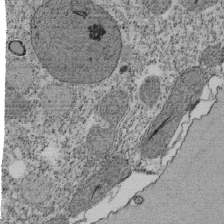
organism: Tetrahymena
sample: Cilia in tetrahymena